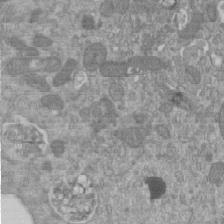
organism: Mouse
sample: ED-1 cell nuclei; centrioles